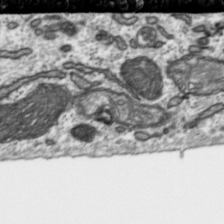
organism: Toxoplasma gondii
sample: Parasites in a vacuole inside a host cell